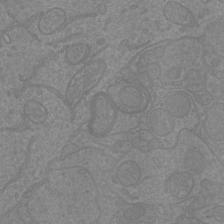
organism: Mouse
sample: Cortical neurons